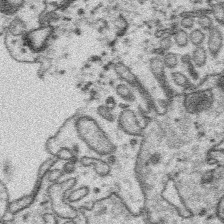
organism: Platynereis dumerilii